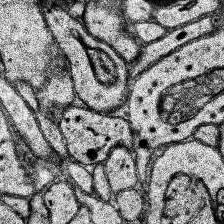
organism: Human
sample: Temporal Lobe